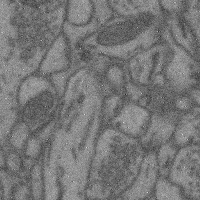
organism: Mouse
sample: Cerebral cortex